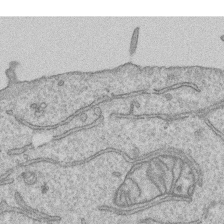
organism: Human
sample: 1205lu cells